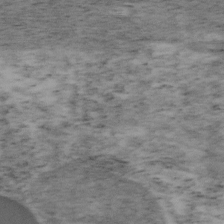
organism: Mouse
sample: OT-I killer T cells with ID8 ovarian cancer cells